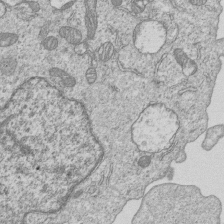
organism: Human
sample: MDA-MB-231 cells